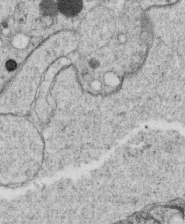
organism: C. elegans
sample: C. elegans oocyte; sperm cells